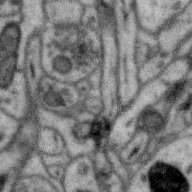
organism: Zebra finch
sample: Brain